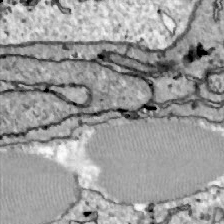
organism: Zebrafish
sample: Actinotrichia fibers